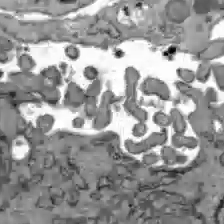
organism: C57BL Mouse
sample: Liver